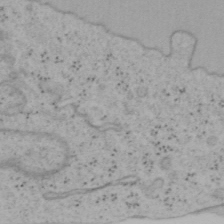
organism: Human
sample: HeLa cells